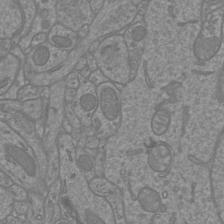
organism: Mouse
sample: Cortical neurons